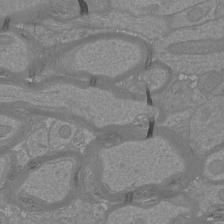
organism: Mouse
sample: Cortical neurons